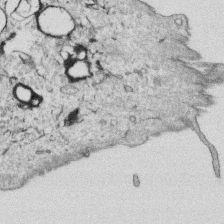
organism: Human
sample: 1205lu cells